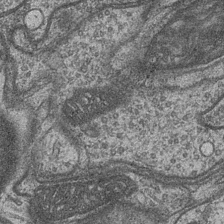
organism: Drosophila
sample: Optic medulla